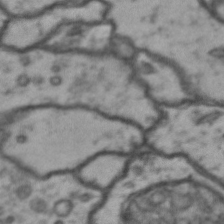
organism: Drosophila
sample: Brain